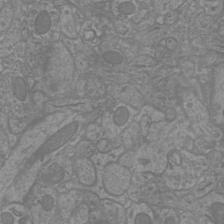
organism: Mouse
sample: Cortical neurons